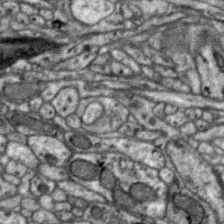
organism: Zebra finch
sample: Brain